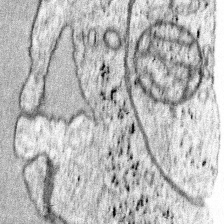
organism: Human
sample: HeLa cells